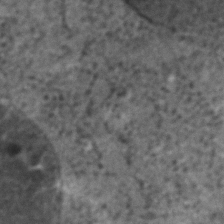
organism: C. elegans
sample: C. elegans embryo